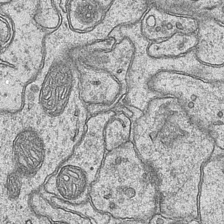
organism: Mouse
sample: CA1 Hippocampus